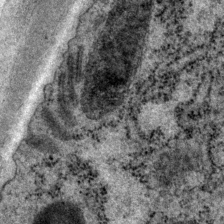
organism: P. pacificus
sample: Pharynx